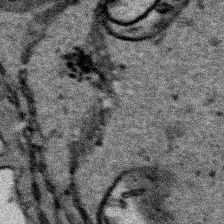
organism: Human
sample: Mitochondria in HCT116 cells